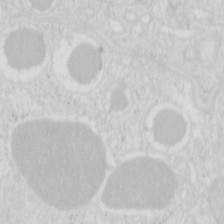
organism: Mouse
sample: Pancreas